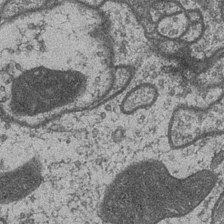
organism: Drosophila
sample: Optic medulla